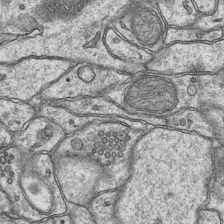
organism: Mouse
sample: CA1 Hippocampus